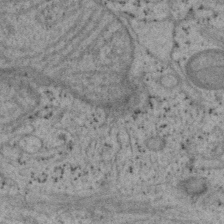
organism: Human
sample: HeLa cells